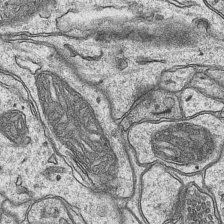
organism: Mouse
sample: CA1 Hippocampus